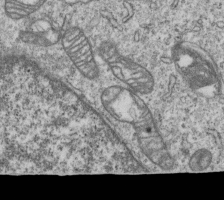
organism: Human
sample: MDA-MB-231 cells